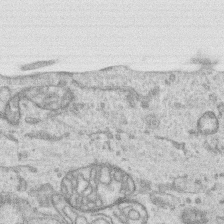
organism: Human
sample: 1205lu cells